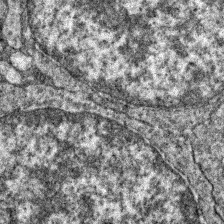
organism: Zebrafish